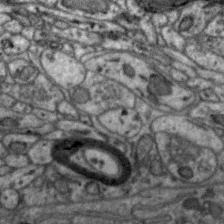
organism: Zebra finch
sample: Brain